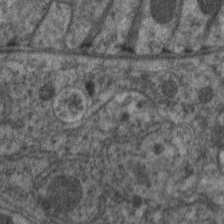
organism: C. elegans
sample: Pharynx